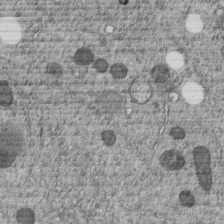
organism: C. elegans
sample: C. elegans embryo early stage